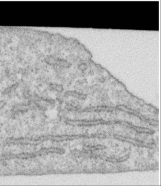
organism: Human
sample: Centriole in RPE cells